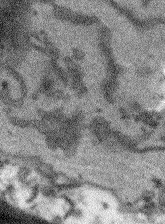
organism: Arabidopsis thaliana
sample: Root tip